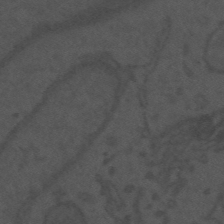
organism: Mouse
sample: Suprachiasmatic nucleus